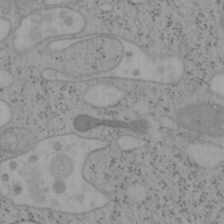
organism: Mouse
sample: OT-I killer T cells with ID8 ovarian cancer cells